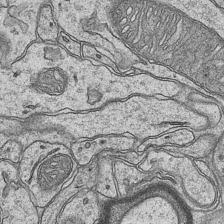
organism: Mouse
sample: CA1 Hippocampus